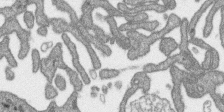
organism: Human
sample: Lung epithelial cells infected with SARS-CoV-2